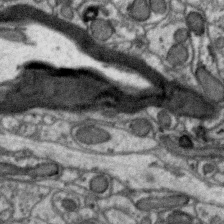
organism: Zebra finch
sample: Brain